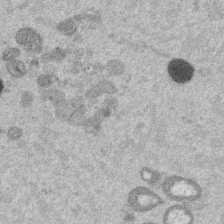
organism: Mouse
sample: Dividing mouse embryo 1 cell stage